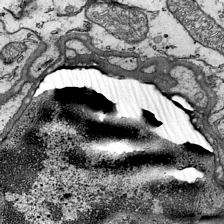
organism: Mouse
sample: Visual Cortex